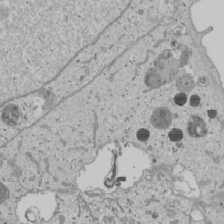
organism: Human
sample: Mitochondria in U2OS cells